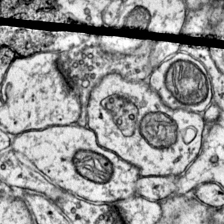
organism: Mouse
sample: Primary visual cortex